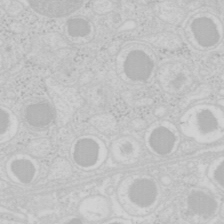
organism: Mouse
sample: Pancreas